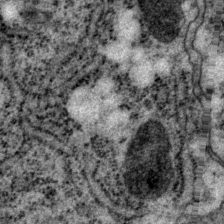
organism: P. pacificus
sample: Pharynx